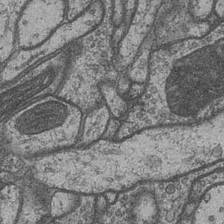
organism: Drosophila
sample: Optic medulla